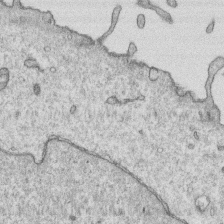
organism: Human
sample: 1205lu cells